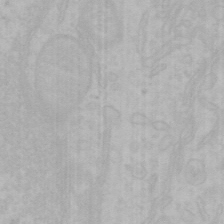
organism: Mouse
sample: Choroid plexus